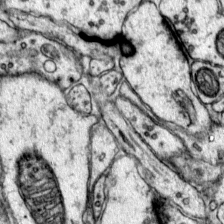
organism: Mouse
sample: Primary visual cortex